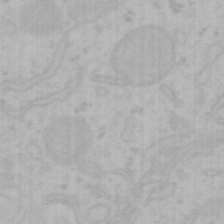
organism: Mouse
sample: Choroid plexus